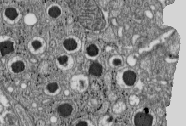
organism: C57BL Mouse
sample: Pancreatic islet